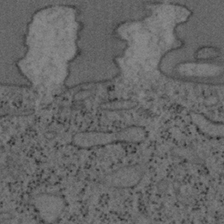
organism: Human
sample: HeLa cells